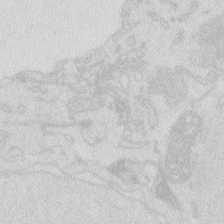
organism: Zebrafish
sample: Macrophage